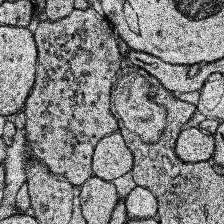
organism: Human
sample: Temporal Lobe